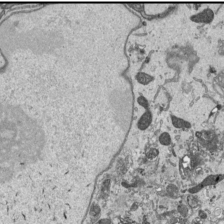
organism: Human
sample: Mitochondria in HCT116 cells